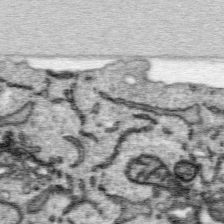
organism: Human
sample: HeLa cells